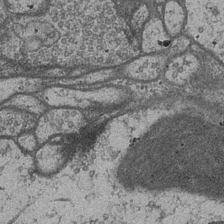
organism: Drosophila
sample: Optic medulla